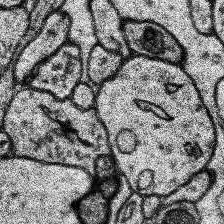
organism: Human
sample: Temporal Lobe